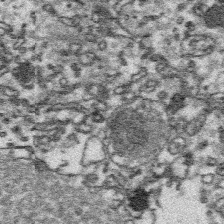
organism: Platynereis dumerilii